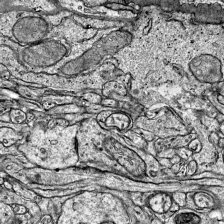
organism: Mouse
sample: Visual Cortex